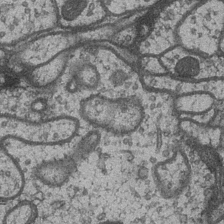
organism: Drosophila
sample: Optic medulla